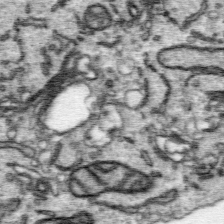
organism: Human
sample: HeLa cells